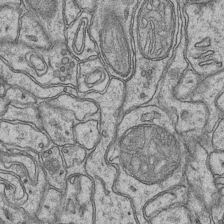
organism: Mouse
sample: CA1 Hippocampus